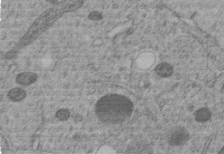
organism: C. elegans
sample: C. elegans embryo early stage